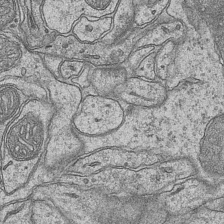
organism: Mouse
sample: CA1 Hippocampus